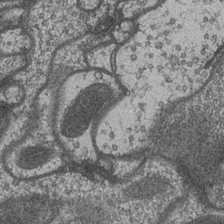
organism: Drosophila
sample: Optic medulla